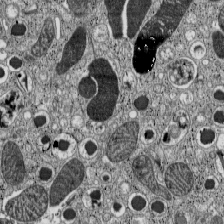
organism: C57BL Mouse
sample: Pancreatic islet